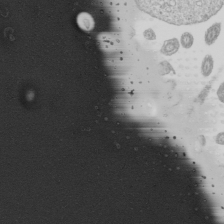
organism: Mouse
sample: Cilia; mouse epididymis